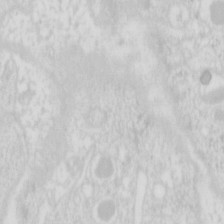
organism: Mouse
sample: Pancreas